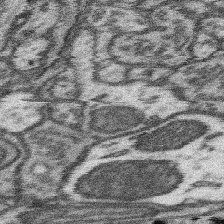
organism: Mouse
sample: Somatosensory cortex neuropil